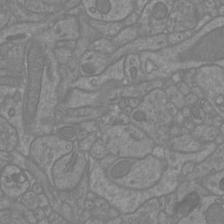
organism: Mouse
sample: Cortical neurons